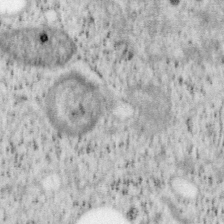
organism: Mouse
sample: OT-I killer T cells with ID8 ovarian cancer cells